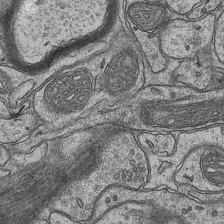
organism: Mouse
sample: CA1 Hippocampus